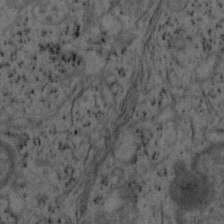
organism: Human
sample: HeLa cells